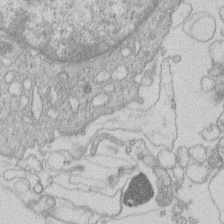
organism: Human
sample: Macrophage cells